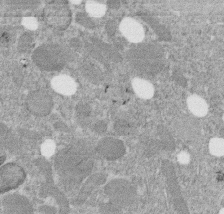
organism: C. elegans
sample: C. elegans embryo early stage